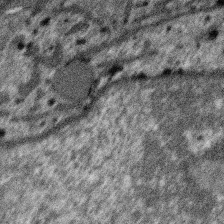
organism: Human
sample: Lung epithelial cells infected with SARS-CoV-2